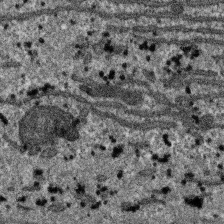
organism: Human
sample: Lung epithelial cells infected with SARS-CoV-2